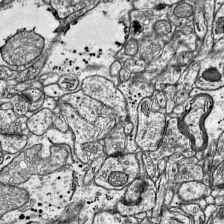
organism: Mouse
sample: Visual Cortex